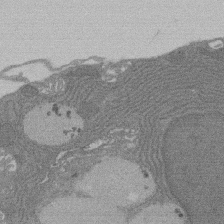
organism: Rat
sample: Salivary granule